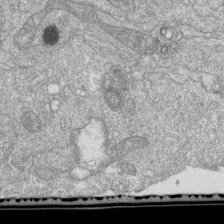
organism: Human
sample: HeLa cell HIV synapse